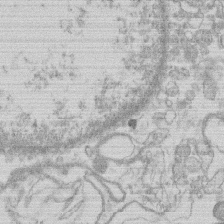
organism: Human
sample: Macrophage cells